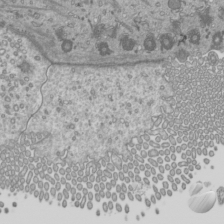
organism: Mouse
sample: Cilia; mouse epididymis